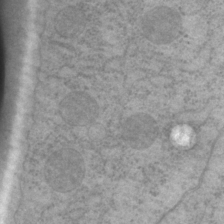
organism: P. pacificus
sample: Pharynx